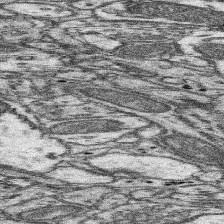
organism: Mouse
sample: Somatosensory cortex neuropil